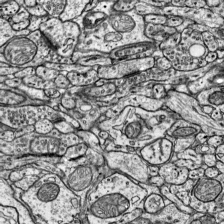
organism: Mouse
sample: Visual Cortex